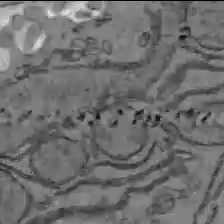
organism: C57BL Mouse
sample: Liver